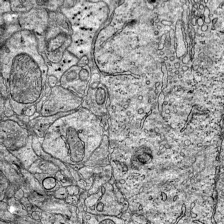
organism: Mouse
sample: Visual Cortex